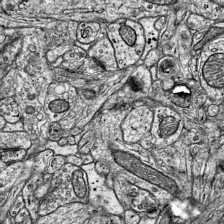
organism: Mouse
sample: Visual Cortex